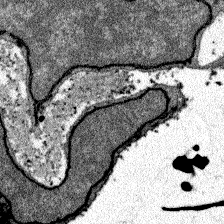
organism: Zebrafish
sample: Larval olfactory bulb